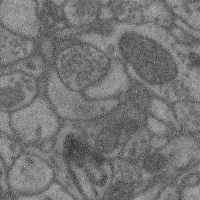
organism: Mouse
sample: Cerebral cortex